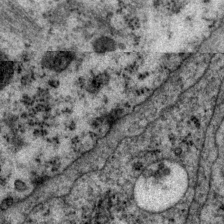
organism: P. pacificus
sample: Pharynx